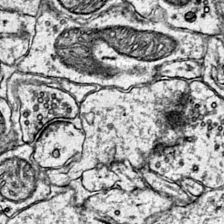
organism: Mouse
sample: Primary visual cortex